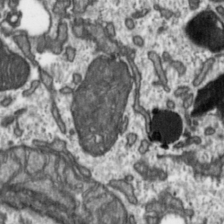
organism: Toxoplasma gondii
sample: Parasites in a vacuole inside a host cell